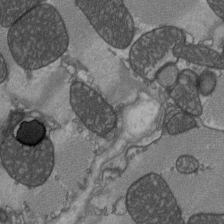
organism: C57BL Mouse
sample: Heart